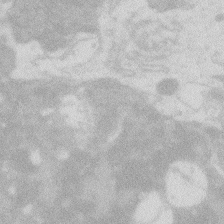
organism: Zebrafish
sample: Macrophage